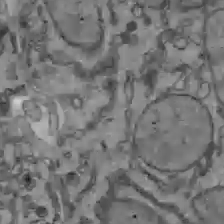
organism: C57BL Mouse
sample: Liver